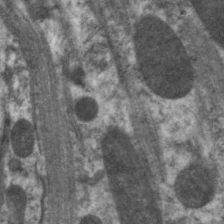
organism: C. elegans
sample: Pharynx